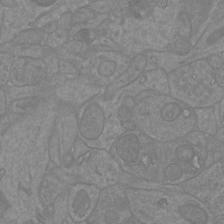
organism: Mouse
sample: Cortical neurons